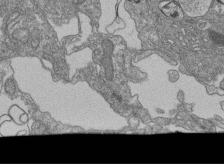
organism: Human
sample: Retinal organoid Rod and Cone cells